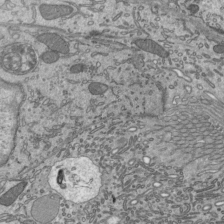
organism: Mouse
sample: Mouse epididymis efferent ductule cilia